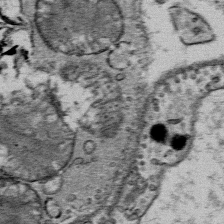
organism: Mouse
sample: Mouse Salivary gland